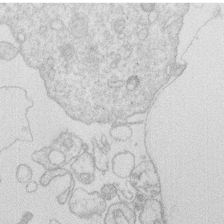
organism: Human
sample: Macrophage cells